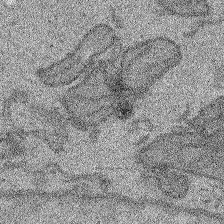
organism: Human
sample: HeLa cells